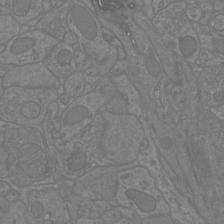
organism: Mouse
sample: Cortical neurons